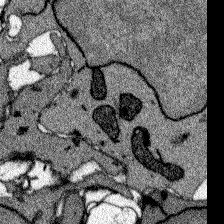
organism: Zebrafish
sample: Larval olfactory bulb